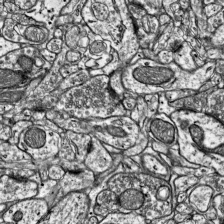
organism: Mouse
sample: Visual Cortex